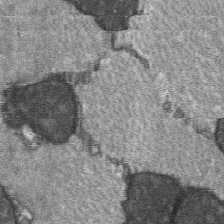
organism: C57BL Mouse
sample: Soleus